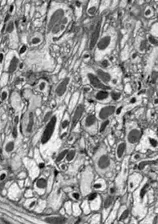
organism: Drosophila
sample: Optic lobe